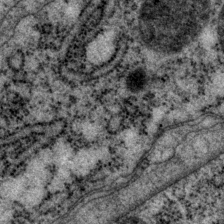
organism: P. pacificus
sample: Pharynx